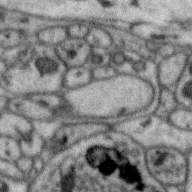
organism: Zebra finch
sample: Brain